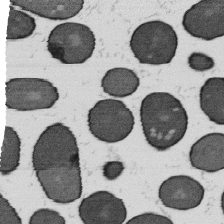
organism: B. subtilis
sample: Bacterial spore